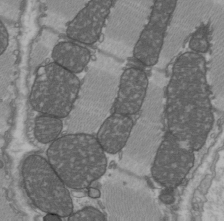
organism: C57BL Mouse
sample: Heart